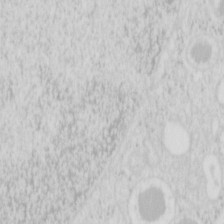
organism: Mouse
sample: Pancreas